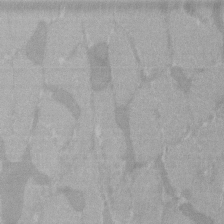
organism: C57BL Mouse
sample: Tibialis anterior muscle cell